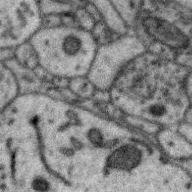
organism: Zebra finch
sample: Brain